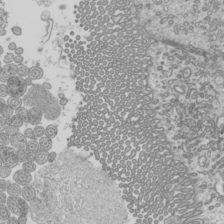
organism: Mouse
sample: Cilia; mouse epididymis